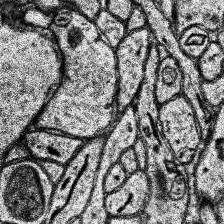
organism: Human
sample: Temporal Lobe